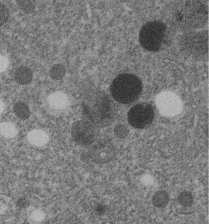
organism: C. elegans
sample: C. elegans embryo early stage